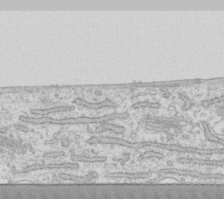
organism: Human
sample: Fibroblast cells